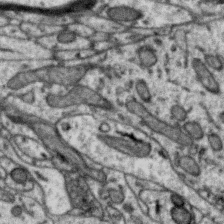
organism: Zebra finch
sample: Brain